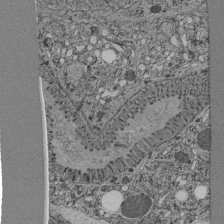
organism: C. elegans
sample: C. elegans pharynx